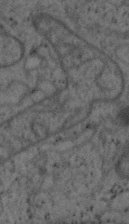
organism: Human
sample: HeLa cells